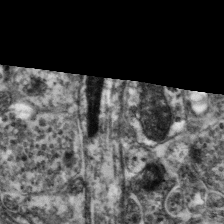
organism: Mouse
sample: Neocortex